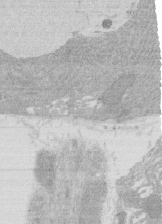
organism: Rat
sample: Salivary granule